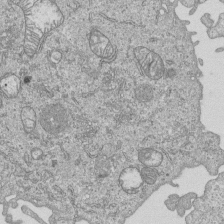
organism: Human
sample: MDA-MB-231 cells